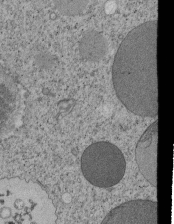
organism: Tetrahymena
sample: Cilia in tetrahymena